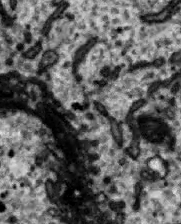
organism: Human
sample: HeLa cells